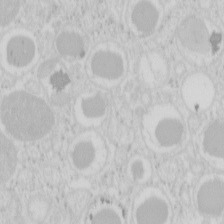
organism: Mouse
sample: Pancreas